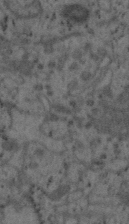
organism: Human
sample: HeLa cells